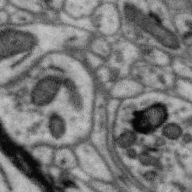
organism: Zebra finch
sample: Brain